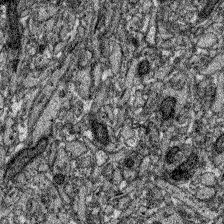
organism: Zebrafish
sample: Larval olfactory bulb